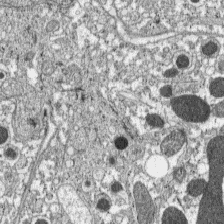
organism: C57BL Mouse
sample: Pancreatic islet